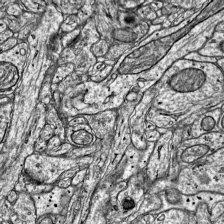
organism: Mouse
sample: Visual Cortex